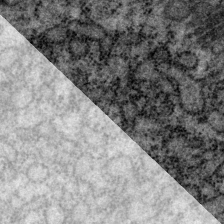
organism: P. pacificus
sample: Pharynx